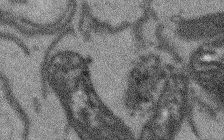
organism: Arabidopsis thaliana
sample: Root tip